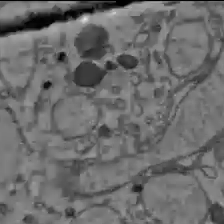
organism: C57BL Mouse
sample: Liver